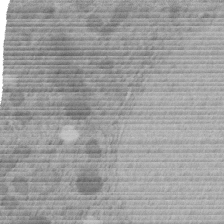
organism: C. elegans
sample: C. elegans embryo early stage